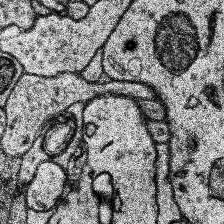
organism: Human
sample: Temporal Lobe